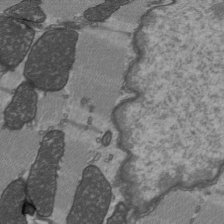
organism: C57BL Mouse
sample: Heart